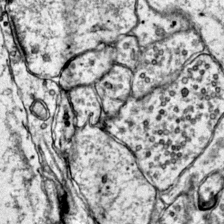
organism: Mouse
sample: Primary visual cortex